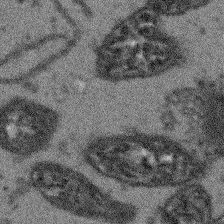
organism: Arabidopsis thaliana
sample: Root tip